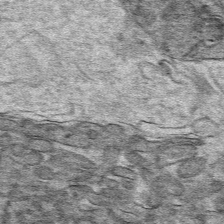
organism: Mouse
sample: Mouse hepatocytes